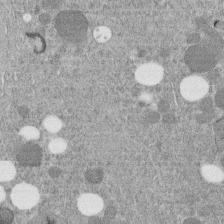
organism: C. elegans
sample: C. elegans embryo early stage